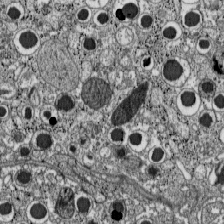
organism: C57BL Mouse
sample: Pancreatic islet